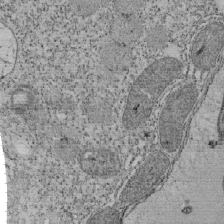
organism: Tetrahymena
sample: Cilia in tetrahymena